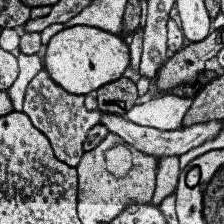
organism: Human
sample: Temporal Lobe